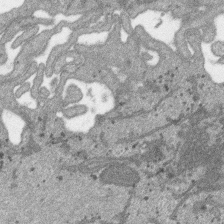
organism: Human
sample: Lung epithelial cells infected with SARS-CoV-2